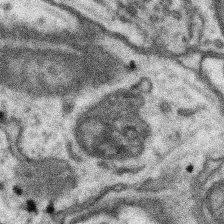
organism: Mouse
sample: Somatosensory cortex neuropil